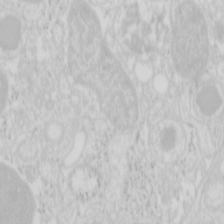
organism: Mouse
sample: Pancreas